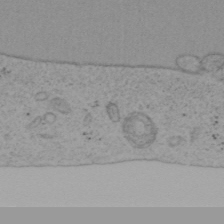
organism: Human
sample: HeLa cells